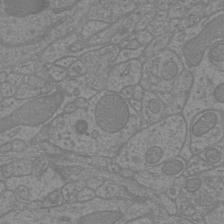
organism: Mouse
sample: Cortical neurons